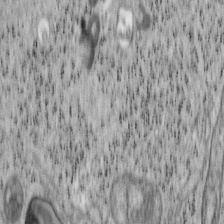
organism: Human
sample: HeLa cells